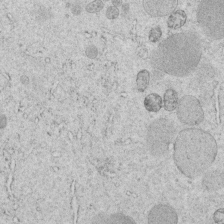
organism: C. elegans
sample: C. elegans embryo early stage